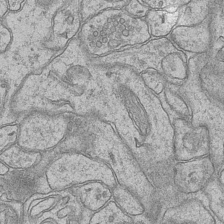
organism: Mouse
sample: CA1 Hippocampus